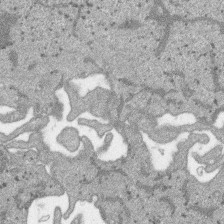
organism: Human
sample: Lung epithelial cells infected with SARS-CoV-2